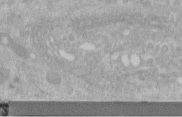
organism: Human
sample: Centriole in RPE cells